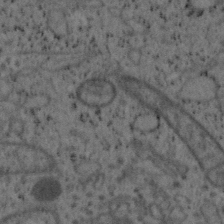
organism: Human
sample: HeLa cells